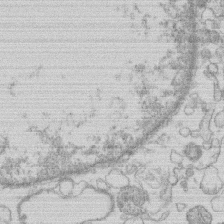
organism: Human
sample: Macrophage cells